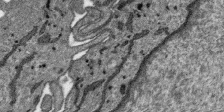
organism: Human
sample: Lung epithelial cells, uninfected (mock) control